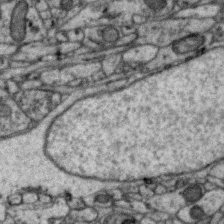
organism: Zebra finch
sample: Brain